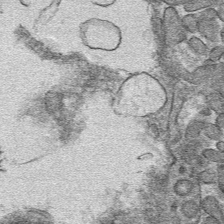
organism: Mouse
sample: Mouse hepatocytes